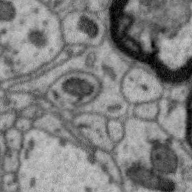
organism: Zebra finch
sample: Brain